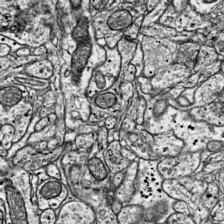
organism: Mouse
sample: Visual Cortex